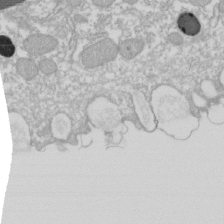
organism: Xenopus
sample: Cilia; centrioles in frog embryo cells